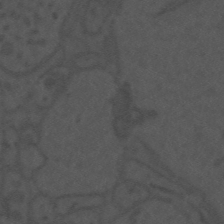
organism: Mouse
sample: Suprachiasmatic nucleus